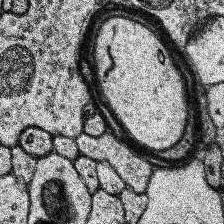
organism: Human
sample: Temporal Lobe